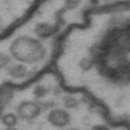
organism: Drosophila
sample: Brain